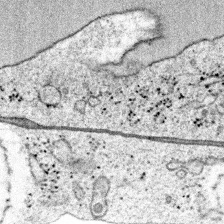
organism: Human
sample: HeLa cells